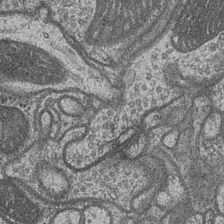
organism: Drosophila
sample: Optic medulla